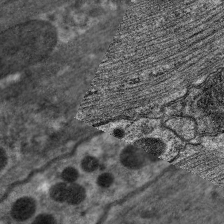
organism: C. elegans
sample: Pharynx